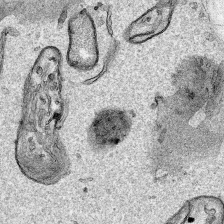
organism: Human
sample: Mitochondria in HCT116 cells